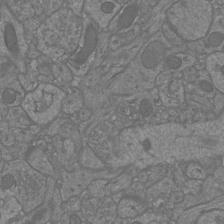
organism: Mouse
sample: Cortical neurons